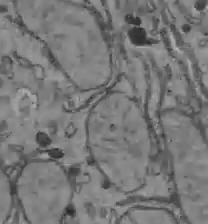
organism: C57BL Mouse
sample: Liver